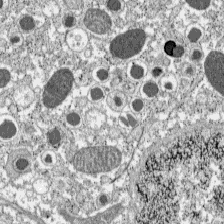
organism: C57BL Mouse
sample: Pancreatic islet